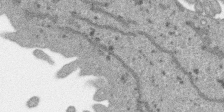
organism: Human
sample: Lung epithelial cells infected with SARS-CoV-2